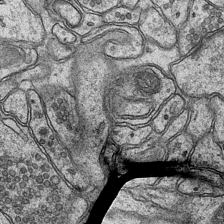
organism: Mouse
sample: CA1 Hippocampus